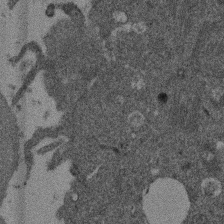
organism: Mouse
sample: Dividing mouse embryo 1 cell stage